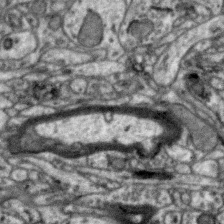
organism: Zebra finch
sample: Brain